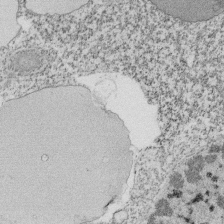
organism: Tetrahymena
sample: Cilia in tetrahymena